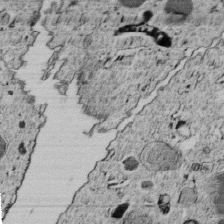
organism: C. elegans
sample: C. elegans embryo early stage